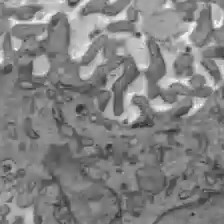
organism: C57BL Mouse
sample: Liver